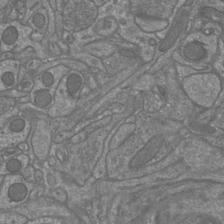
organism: Mouse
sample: Cortical neurons